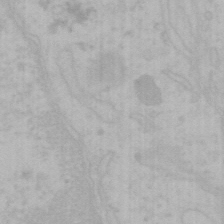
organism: Mouse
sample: Choroid plexus